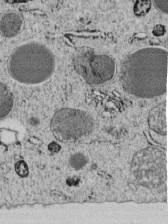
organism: C. elegans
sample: C. elegans embryo early stage